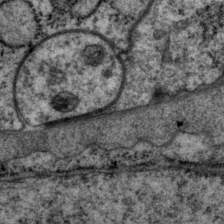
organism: P. pacificus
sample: Pharynx